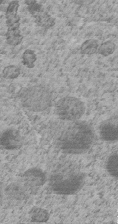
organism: C. elegans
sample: C. elegans embryo early stage